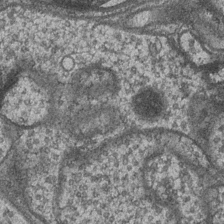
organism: Drosophila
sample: Optic medulla